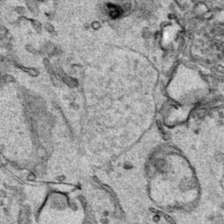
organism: Human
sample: Mitochondria in HCT116 cells